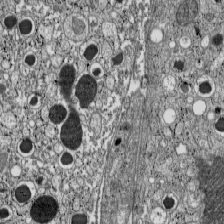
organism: C57BL Mouse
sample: Pancreatic islet